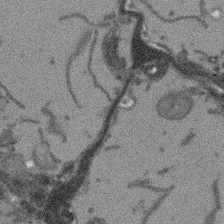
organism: Arabidopsis thaliana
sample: Root tip